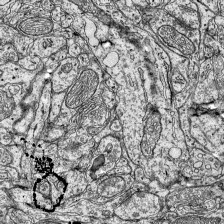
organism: Mouse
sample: Visual Cortex